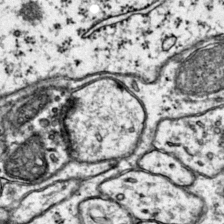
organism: Mouse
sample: Primary visual cortex